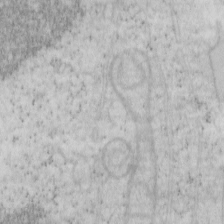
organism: Human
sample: HeLa cells